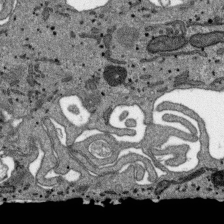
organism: Human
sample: Lung epithelial cells, uninfected (mock) control